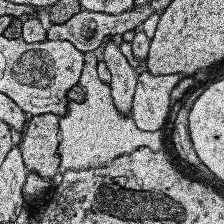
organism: Human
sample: Temporal Lobe